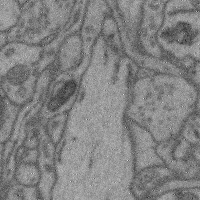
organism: Mouse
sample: Cerebral cortex